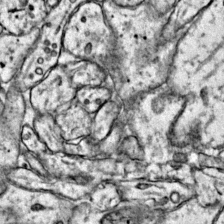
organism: Mouse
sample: Primary visual cortex